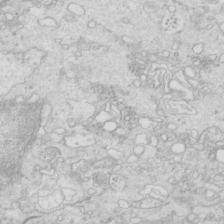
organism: Mouse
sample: Multiciliated cells